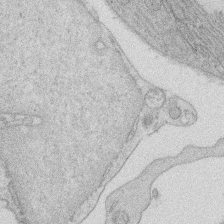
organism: Rat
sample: Salivary granule